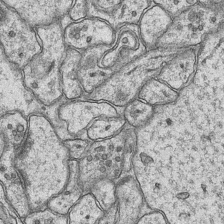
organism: Mouse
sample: CA1 Hippocampus